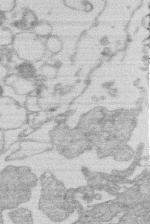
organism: Human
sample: Macrophage cells